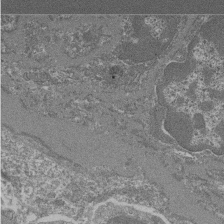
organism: Mouse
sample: Glomerulus